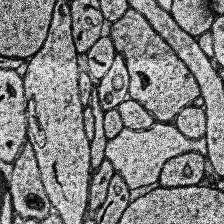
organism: Human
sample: Temporal Lobe